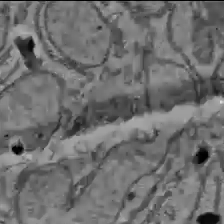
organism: C57BL Mouse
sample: Liver